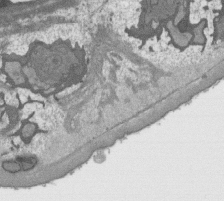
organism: C. elegans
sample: AFD neurons C. elegans